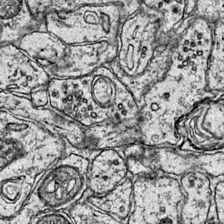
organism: Mouse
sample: Primary visual cortex